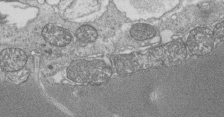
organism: Tetrahymena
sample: Cilia in tetrahymena